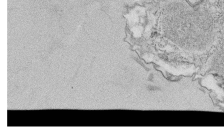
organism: Tetrahymena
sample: Cilia in tetrahymena